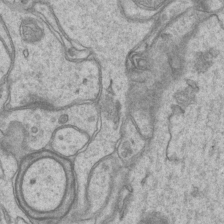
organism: Mouse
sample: CA1 Hippocampus